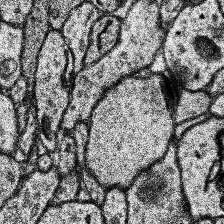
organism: Human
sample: Temporal Lobe